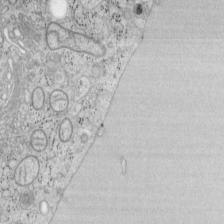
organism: Mouse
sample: OT-I killer T cells with ID8 ovarian cancer cells